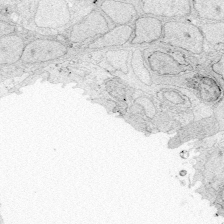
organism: Zebrafish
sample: Whole-Brain